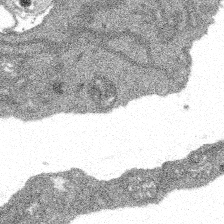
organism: Spongilla lacustris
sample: Multiple